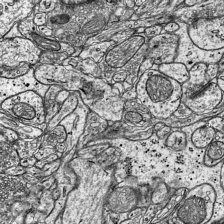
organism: Mouse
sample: Visual Cortex